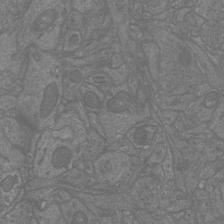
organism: Mouse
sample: Cortical neurons